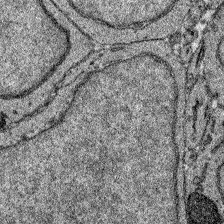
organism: Zebrafish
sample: Larval olfactory bulb